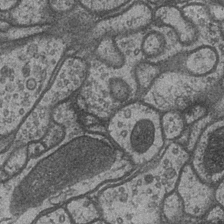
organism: Drosophila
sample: Optic medulla